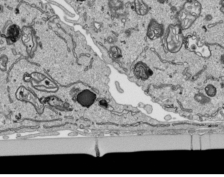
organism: Human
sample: Mitochondria in HCT116 cells